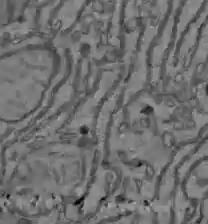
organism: C57BL Mouse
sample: Liver